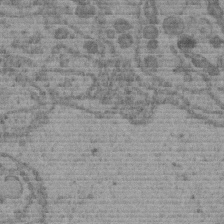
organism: C. elegans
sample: C. elegans embryo early stage